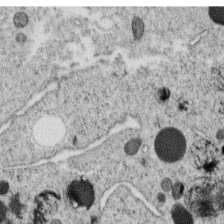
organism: C. elegans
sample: C. elegans oocyte; sperm cells